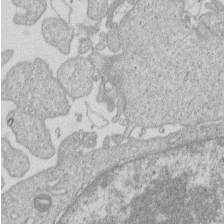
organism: Human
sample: Macrophage cells